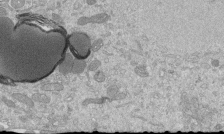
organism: Mouse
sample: ED-1 cell nuclei; centrioles